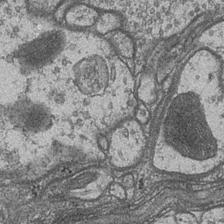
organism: Drosophila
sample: Optic medulla